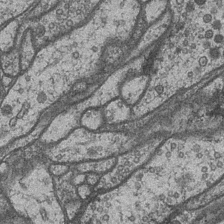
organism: Drosophila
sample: Optic medulla